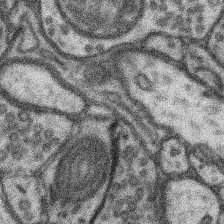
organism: Mouse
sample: Somatosensory cortex neuropil